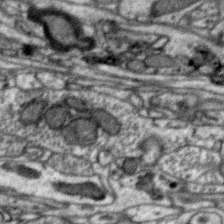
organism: Zebra finch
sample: Brain